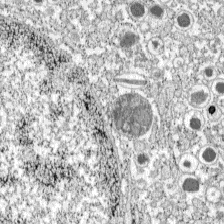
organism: C57BL Mouse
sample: Pancreatic islet